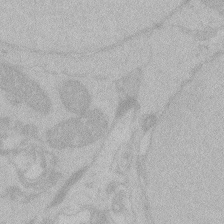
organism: Zebrafish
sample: Macrophage infected with Toxoplasma gondii